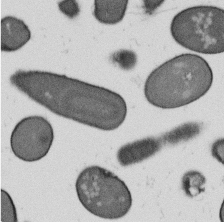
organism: B. subtilis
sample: Bacterial spore